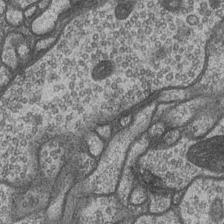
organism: Drosophila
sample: Optic medulla